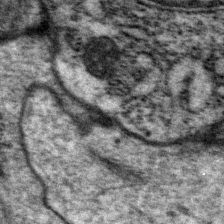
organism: P. pacificus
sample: Pharynx